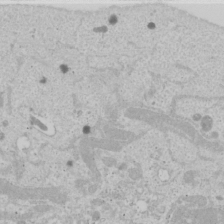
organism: Human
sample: Mitochondria in U2OS cells